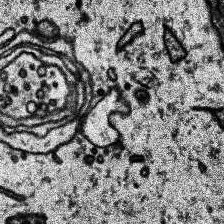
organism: Human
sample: Temporal Lobe